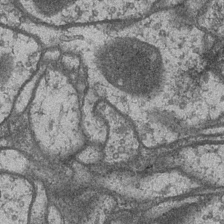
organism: Drosophila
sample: Optic medulla